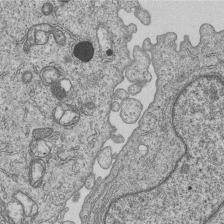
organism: Human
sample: MDA-MB-231 cells